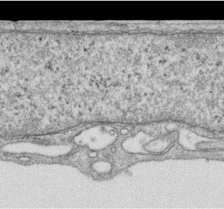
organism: Human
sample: Centriole in RPE cells